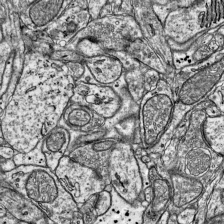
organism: Mouse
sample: Visual Cortex